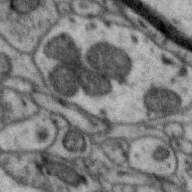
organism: Zebra finch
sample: Brain